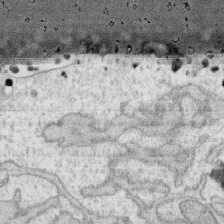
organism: Human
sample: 1205lu cells